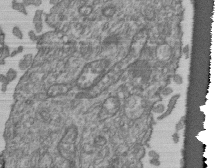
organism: Human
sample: Retinal organoid Rod and Cone cells